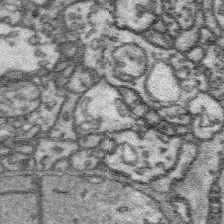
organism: Platynereis dumerilii